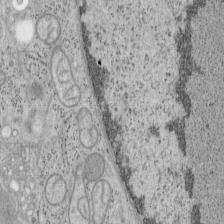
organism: Mouse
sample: OT-I killer T cells with ID8 ovarian cancer cells